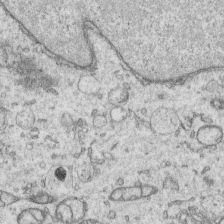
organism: Human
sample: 1205lu cells